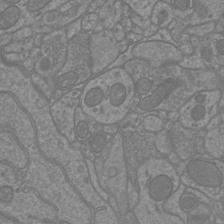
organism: Mouse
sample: Cortical neurons